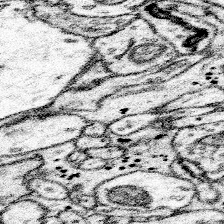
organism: Mouse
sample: Somatosensory cortex neuropil